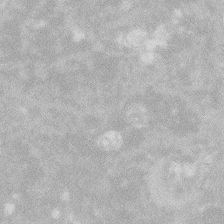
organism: Zebrafish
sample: Macrophage